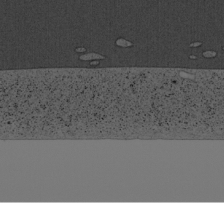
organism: African green monkey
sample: COS-7 cells